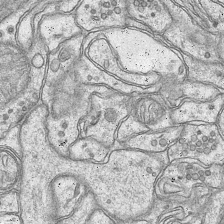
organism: Mouse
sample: CA1 Hippocampus